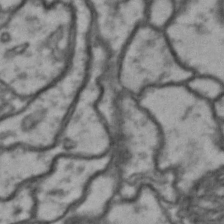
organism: Drosophila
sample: Brain